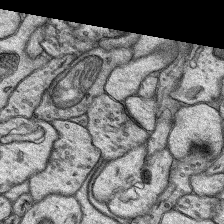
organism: Rat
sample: Hippocampus